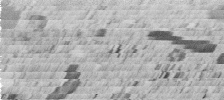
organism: C. elegans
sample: C. elegans embryo early stage